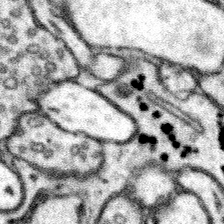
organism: Mouse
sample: Somatosensory cortex neuropil